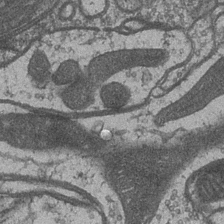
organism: Drosophila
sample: Optic medulla